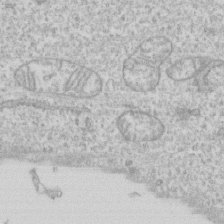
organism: Human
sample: CRL-1474